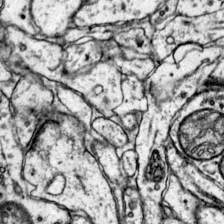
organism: Mouse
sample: Primary visual cortex